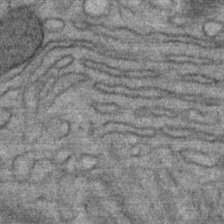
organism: Mouse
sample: Mouse Salivary gland